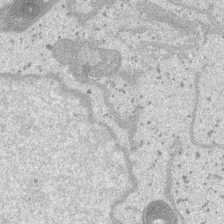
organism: Human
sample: Lung epithelial cells infected with SARS-CoV-2